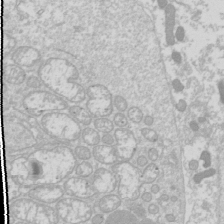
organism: Drosophila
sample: Cell division; meiosis; drosophila spermatocytes